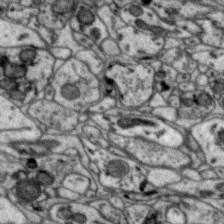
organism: Zebra finch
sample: Brain